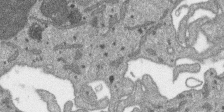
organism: Human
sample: Lung epithelial cells infected with SARS-CoV-2